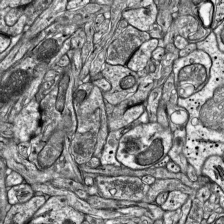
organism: Mouse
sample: Visual Cortex